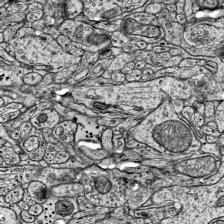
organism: Mouse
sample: Visual Cortex